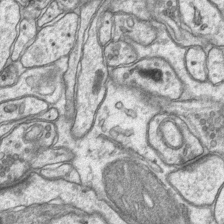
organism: Mouse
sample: CA1 Hippocampus